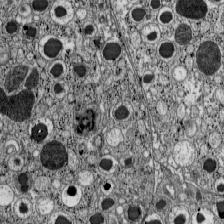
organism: C57BL Mouse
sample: Pancreatic islet